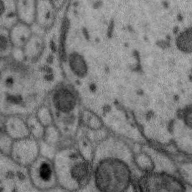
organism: Zebra finch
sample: Brain